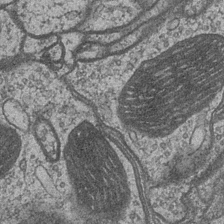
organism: Drosophila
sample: Optic medulla